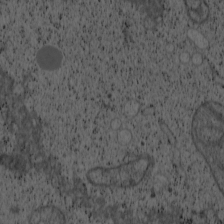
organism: African green monkey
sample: COS-7 cells